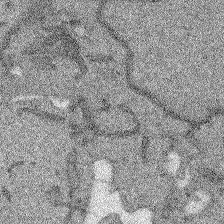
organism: Human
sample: HeLa cells